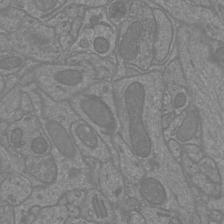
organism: Mouse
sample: Cortical neurons